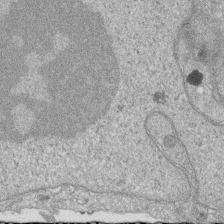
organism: Human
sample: HeLa cell HIV synapse